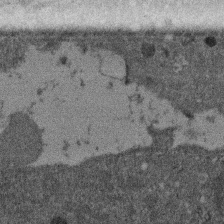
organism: Mouse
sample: Dividing mouse embryo 1 cell stage